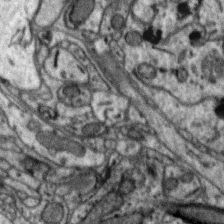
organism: Zebra finch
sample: Brain